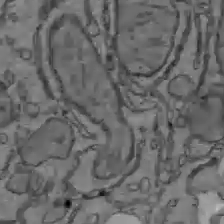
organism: C57BL Mouse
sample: Liver